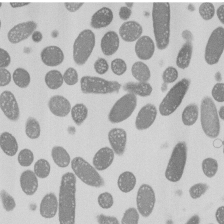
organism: E. coli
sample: Bacterial nucleoid